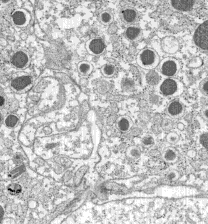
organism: C57BL Mouse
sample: Pancreatic islet